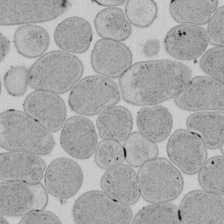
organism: E. coli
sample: Bacterial nucleoid